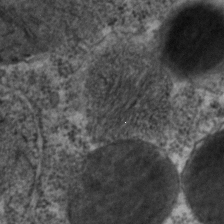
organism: C. elegans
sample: C. elegans embryo